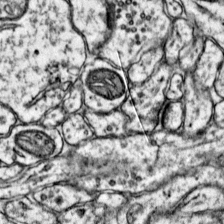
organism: Mouse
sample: Primary visual cortex